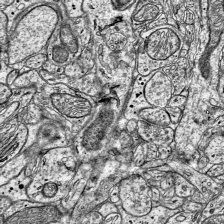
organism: Mouse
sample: Visual Cortex